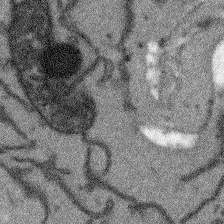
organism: Arabidopsis thaliana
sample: Root tip